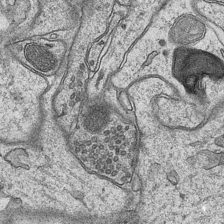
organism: Mouse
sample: CA1 Hippocampus